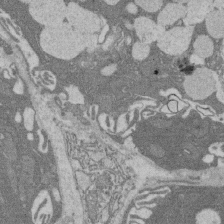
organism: Rat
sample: Salivary granule